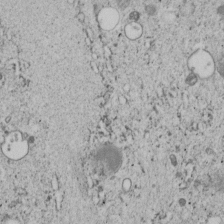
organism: C. elegans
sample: C. elegans embryo early stage